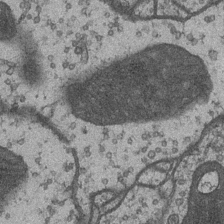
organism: Drosophila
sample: Optic medulla